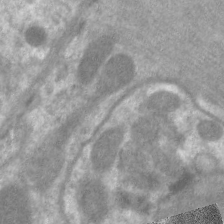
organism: C. elegans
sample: Pharynx